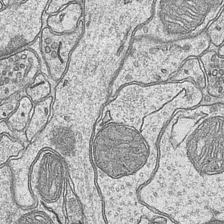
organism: Mouse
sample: CA1 Hippocampus